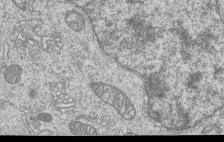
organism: Human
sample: MDA-MB-231 cells